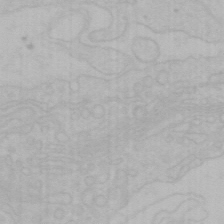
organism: Mouse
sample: Choroid plexus